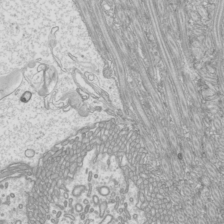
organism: Mouse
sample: Cilia; mouse epididymis